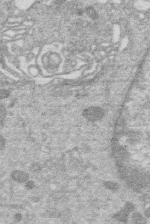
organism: Human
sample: Macrophage cells